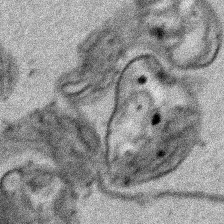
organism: Human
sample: Mitochondria in HCT116 cells